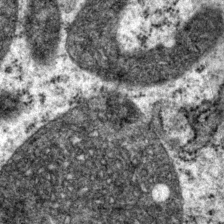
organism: P. pacificus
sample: Pharynx